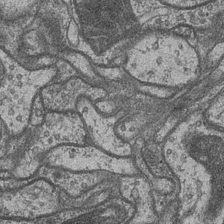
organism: Drosophila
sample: Optic medulla